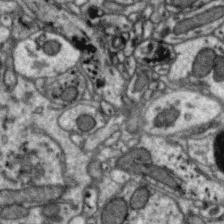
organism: Zebra finch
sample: Brain